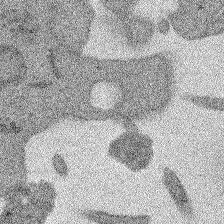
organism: Human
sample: HeLa cells